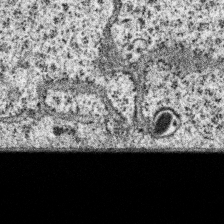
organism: Human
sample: HeLa cells